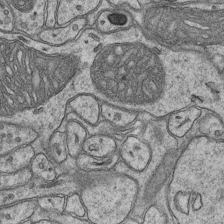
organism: Mouse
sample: CA1 Hippocampus